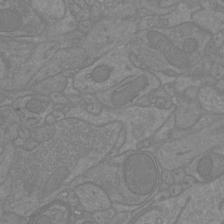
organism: Mouse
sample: Cortical neurons